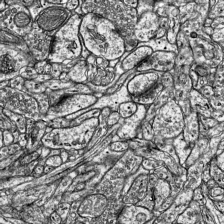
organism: Mouse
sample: Visual Cortex